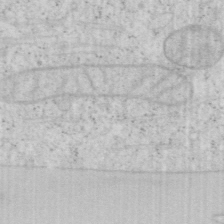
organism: Human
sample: HeLa cells